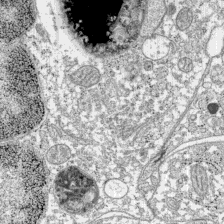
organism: C57BL Mouse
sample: Pancreatic islet